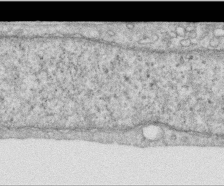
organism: Human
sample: Centriole in RPE cells